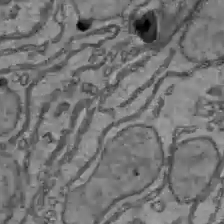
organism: C57BL Mouse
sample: Liver